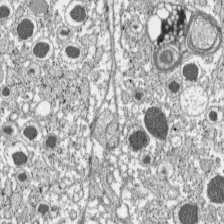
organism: C57BL Mouse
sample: Pancreatic islet